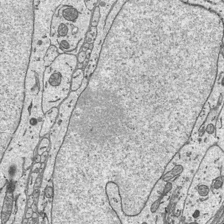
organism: Mouse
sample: Suprachiasmatic nucleus